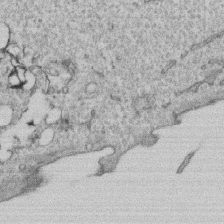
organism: Human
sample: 1205lu cells